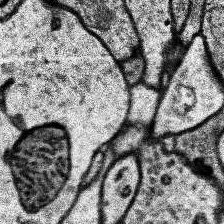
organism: Human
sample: Temporal Lobe